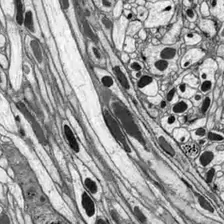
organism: Drosophila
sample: Optic lobe